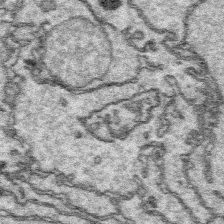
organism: Platynereis dumerilii